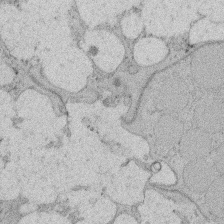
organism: Rat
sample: Salivary granule